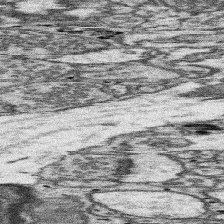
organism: Mouse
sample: Somatosensory cortex neuropil